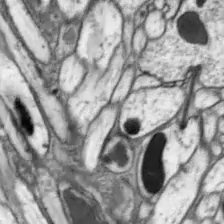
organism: Drosophila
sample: Optic lobe